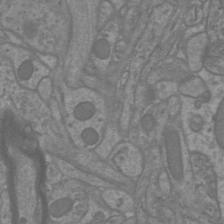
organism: Mouse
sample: Cortical neurons